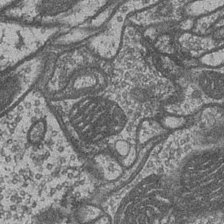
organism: Drosophila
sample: Optic medulla